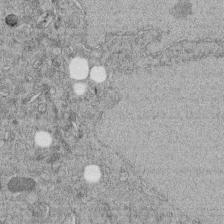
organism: C. elegans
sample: C. elegans embryo early stage